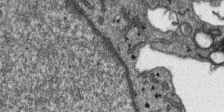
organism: Human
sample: Lung epithelial cells infected with SARS-CoV-2